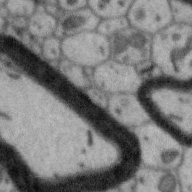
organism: Zebra finch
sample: Brain